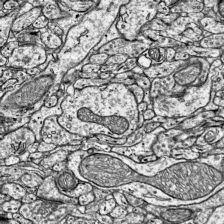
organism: Mouse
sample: Visual Cortex